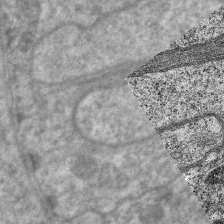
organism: C. elegans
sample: Pharynx